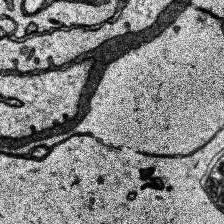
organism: Human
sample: Temporal Lobe